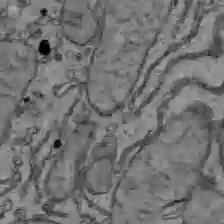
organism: C57BL Mouse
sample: Liver